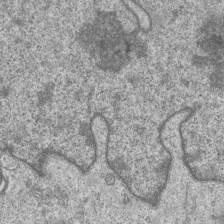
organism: Human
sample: MDA-MB-231 cells